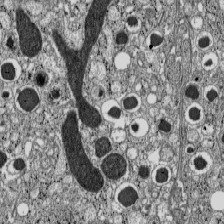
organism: C57BL Mouse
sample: Pancreatic islet